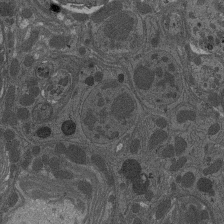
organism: Drosophila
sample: Antenna